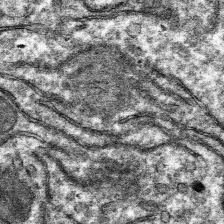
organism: Mouse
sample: Mouse hepatocytes